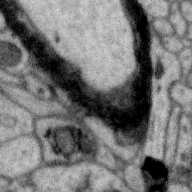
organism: Zebra finch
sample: Brain